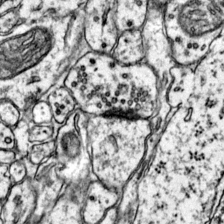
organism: Mouse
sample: Primary visual cortex